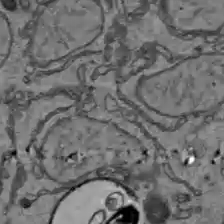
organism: C57BL Mouse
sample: Liver